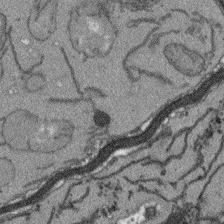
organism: Arabidopsis thaliana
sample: Root tip